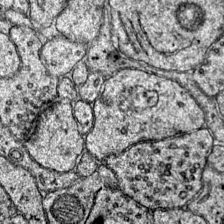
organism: Mouse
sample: Primary visual cortex